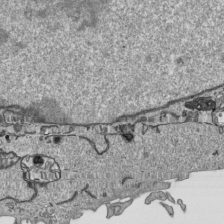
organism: Human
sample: Mitochondria in HCT116 cells